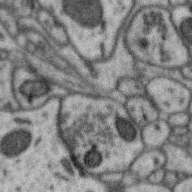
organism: Zebra finch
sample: Brain